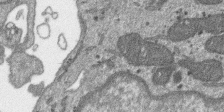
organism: Human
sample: Lung epithelial cells infected with SARS-CoV-2